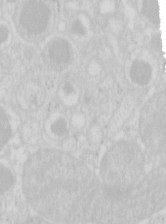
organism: Mouse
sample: Pancreas